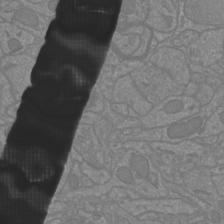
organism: Mouse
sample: Cortical neurons